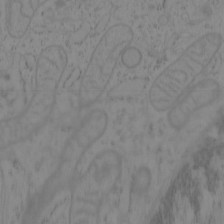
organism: Human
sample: HeLa cells